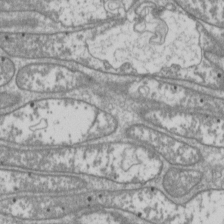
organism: Drosophila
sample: Cell division; meiosis; drosophila spermatocytes